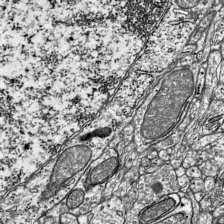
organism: Mouse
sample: Visual Cortex